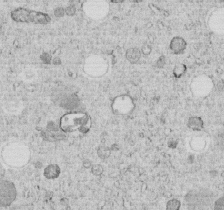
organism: C. elegans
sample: C. elegans embryo early stage